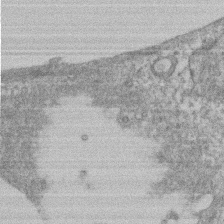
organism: Mouse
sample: T cell stromal cell synapse